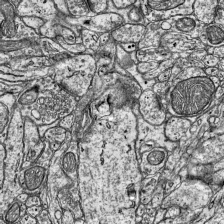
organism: Mouse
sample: Visual Cortex